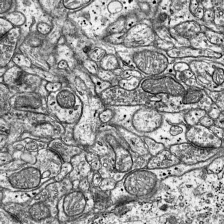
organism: Mouse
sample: Visual Cortex